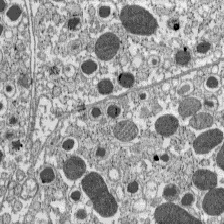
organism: C57BL Mouse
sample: Pancreatic islet